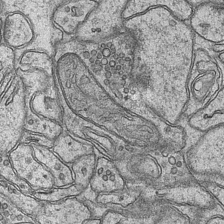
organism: Mouse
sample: CA1 Hippocampus